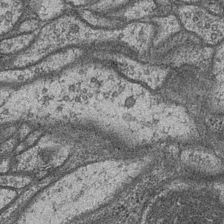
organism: Drosophila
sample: Optic medulla